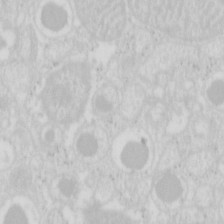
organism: Mouse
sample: Pancreas